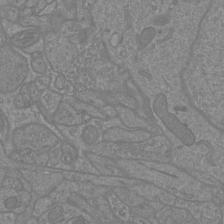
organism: Mouse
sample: Cortical neurons